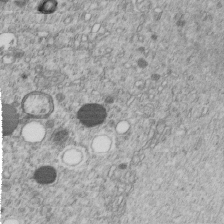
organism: C. elegans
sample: C. elegans embryo early stage